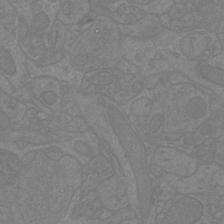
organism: Mouse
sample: Cortical neurons